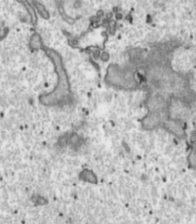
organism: Toxoplasma gondii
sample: Parasites in a vacuole inside a host cell